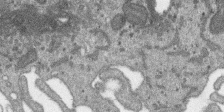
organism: Human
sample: Lung epithelial cells infected with SARS-CoV-2